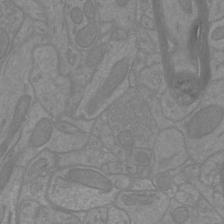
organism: Mouse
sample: Cortical neurons